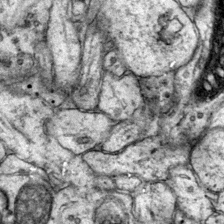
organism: Mouse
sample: Primary visual cortex